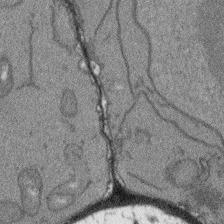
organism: Arabidopsis thaliana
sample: Root tip